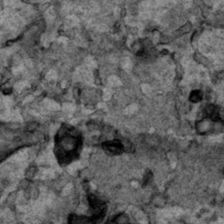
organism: Human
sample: Mitochondria in HCT116 cells